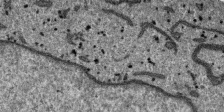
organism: Human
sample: Lung epithelial cells, uninfected (mock) control